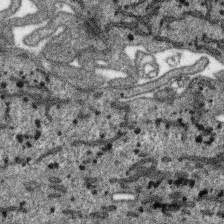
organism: Human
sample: Lung epithelial cells infected with SARS-CoV-2